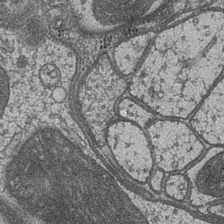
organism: Drosophila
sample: Optic medulla